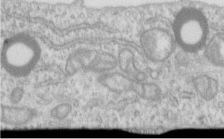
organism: Human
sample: Centriole in RPE cells